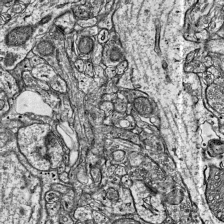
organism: Mouse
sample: Visual Cortex